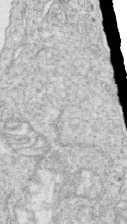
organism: Human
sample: HeLa cell HIV synapse